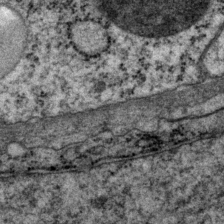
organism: P. pacificus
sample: Pharynx